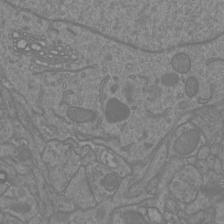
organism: Mouse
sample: Cortical neurons